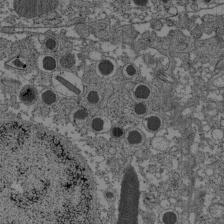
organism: C57BL Mouse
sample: Pancreatic islet